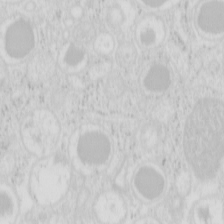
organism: Mouse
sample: Pancreas